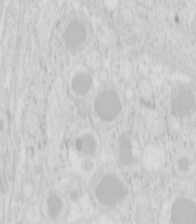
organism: Mouse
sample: Pancreas